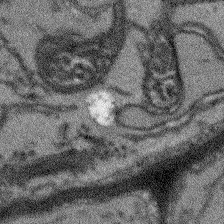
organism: Arabidopsis thaliana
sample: Root tip